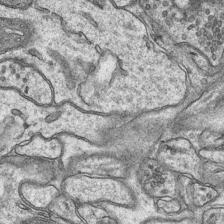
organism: Mouse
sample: CA1 Hippocampus